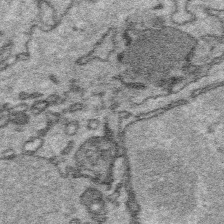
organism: Platynereis dumerilii